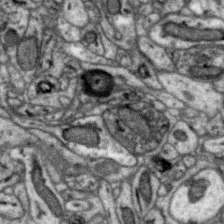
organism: Zebra finch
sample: Brain